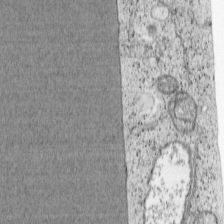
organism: African green monkey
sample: COS-7 cells